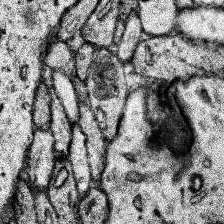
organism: Human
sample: Temporal Lobe